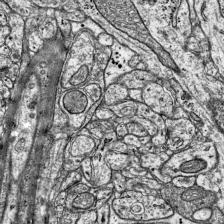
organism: Mouse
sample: Visual Cortex